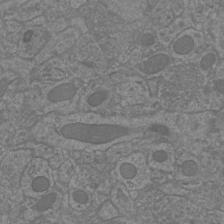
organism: Mouse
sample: Cortical neurons